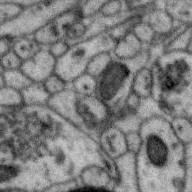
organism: Zebra finch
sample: Brain